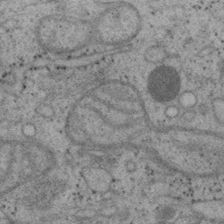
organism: Human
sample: HeLa cells